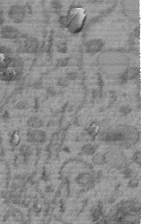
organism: C. elegans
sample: C. elegans embryo early stage